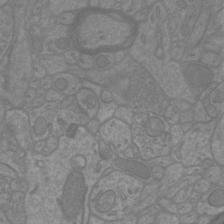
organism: Mouse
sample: Cortical neurons